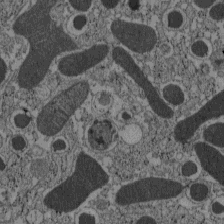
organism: C57BL Mouse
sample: Pancreatic islet